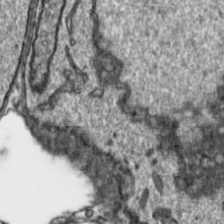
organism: Toxoplasma gondii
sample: Parasites in a vacuole inside a host cell